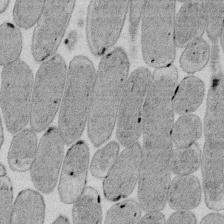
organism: E. coli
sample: Bacterial nucleoid